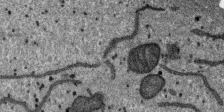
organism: Human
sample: Lung epithelial cells, uninfected (mock) control